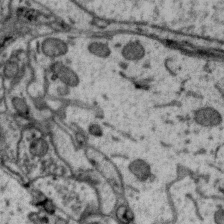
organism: Zebra finch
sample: Brain